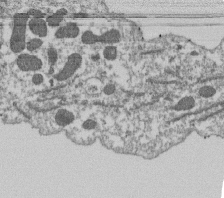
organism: Dictyostelium discoideum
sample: Dictyostelium multivesicular bodies